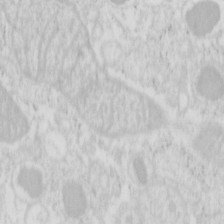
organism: Mouse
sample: Pancreas